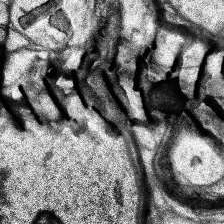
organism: Human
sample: Temporal Lobe